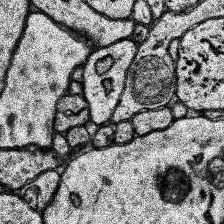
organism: Human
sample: Temporal Lobe